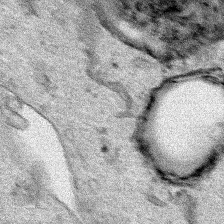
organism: Human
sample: Mitochondria in HCT116 cells